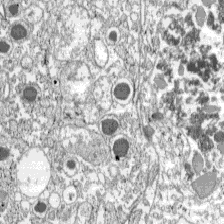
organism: C57BL Mouse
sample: Pancreatic islet